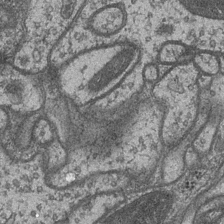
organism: Drosophila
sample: Optic medulla